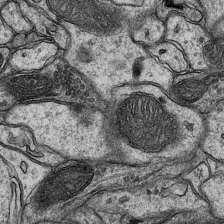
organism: Mouse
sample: CA1 Hippocampus